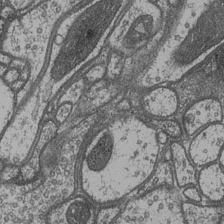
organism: Drosophila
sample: Optic medulla